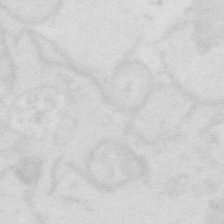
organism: Human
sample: HeLa cells